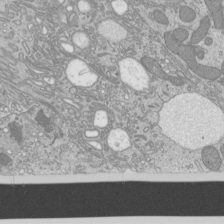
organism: Mouse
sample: Cilia; mouse epididymis